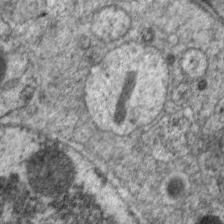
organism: C. elegans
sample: Pharynx